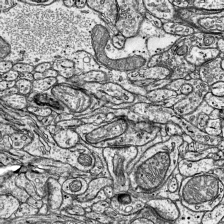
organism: Mouse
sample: Visual Cortex